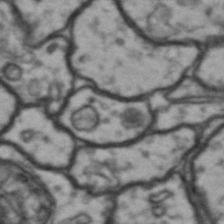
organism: Drosophila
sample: Brain